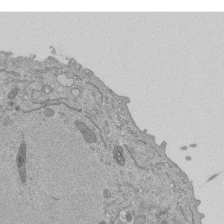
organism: Mouse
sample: ED-1 cell nuclei; centrioles